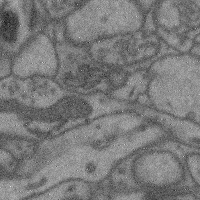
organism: Mouse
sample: Cerebral cortex